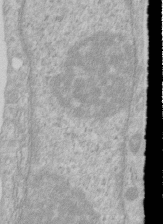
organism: Human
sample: Centriole in RPE cells